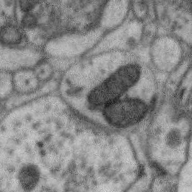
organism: Zebra finch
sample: Brain